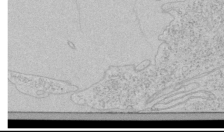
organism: Human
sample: Mitochondria in HCT116 cells